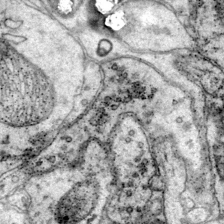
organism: Mouse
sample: Primary visual cortex